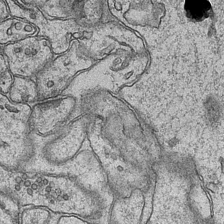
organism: Mouse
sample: CA1 Hippocampus